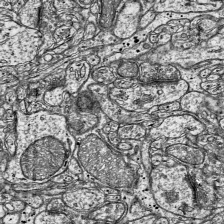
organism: Mouse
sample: Visual Cortex